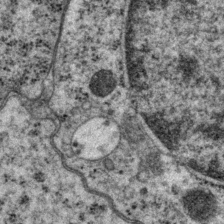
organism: P. pacificus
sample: Pharynx